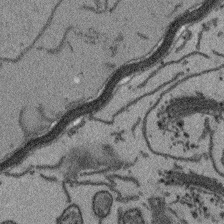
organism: Arabidopsis thaliana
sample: Root tip